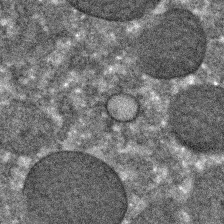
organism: C. elegans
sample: C. elegans embryo